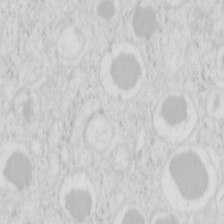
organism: Mouse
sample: Pancreas